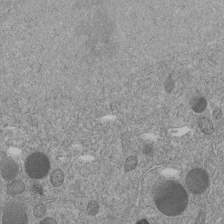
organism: C. elegans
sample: C. elegans embryo early stage